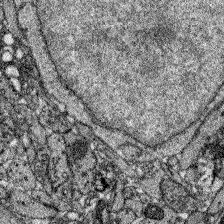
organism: Zebrafish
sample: Larval olfactory bulb